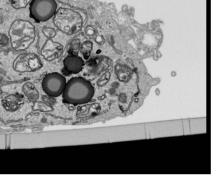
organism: Human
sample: Mitochondria in HCT116 cells